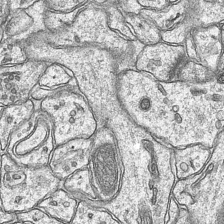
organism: Mouse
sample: CA1 Hippocampus